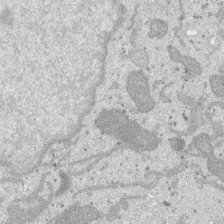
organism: Human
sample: Lung epithelial cells infected with SARS-CoV-2